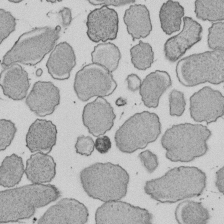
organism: E. coli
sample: Bacterial nucleoid